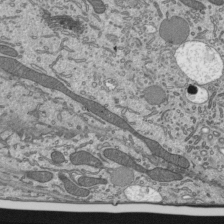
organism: Mouse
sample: Mouse epididymis efferent ductule cilia